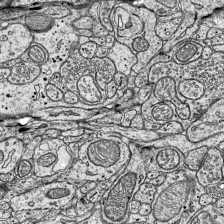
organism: Mouse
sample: Visual Cortex